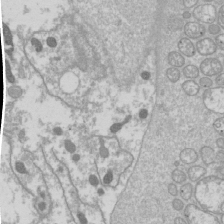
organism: Drosophila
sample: Cell division; meiosis; drosophila spermatocytes